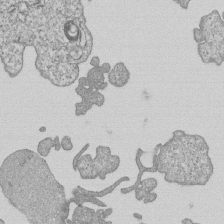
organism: Human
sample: MDA-MB-231 cells